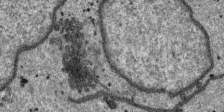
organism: Human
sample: Lung epithelial cells, uninfected (mock) control